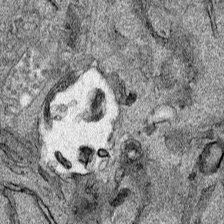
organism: Human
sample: Mitochondria in HCT116 cells